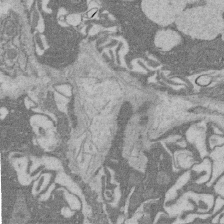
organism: Rat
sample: Salivary granule